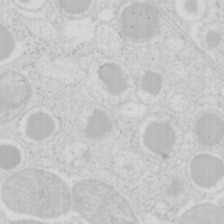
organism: Mouse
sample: Pancreas